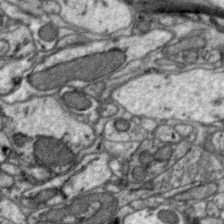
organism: Zebra finch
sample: Brain